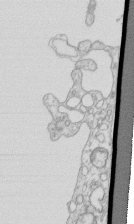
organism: Mouse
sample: Macrophages